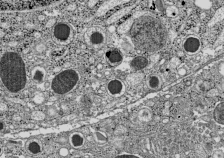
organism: C57BL Mouse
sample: Pancreatic islet